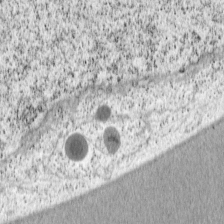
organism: African green monkey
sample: COS-7 cells